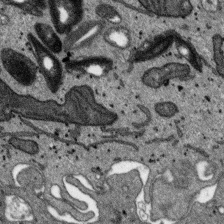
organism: Human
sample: Lung epithelial cells, uninfected (mock) control